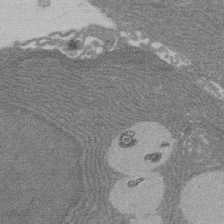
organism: Rat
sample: Salivary granule